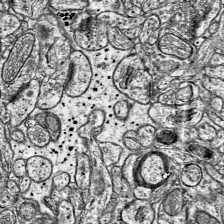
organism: Mouse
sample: Visual Cortex